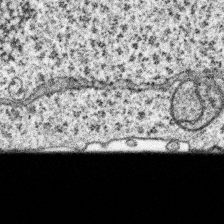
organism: Human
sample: HeLa cells